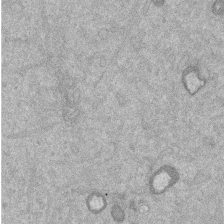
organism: Mouse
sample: Dividing mouse embryo 1 cell stage